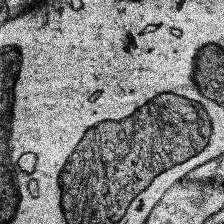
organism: Human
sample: Temporal Lobe